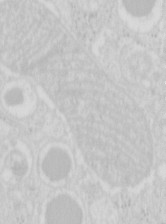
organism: Mouse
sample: Pancreas